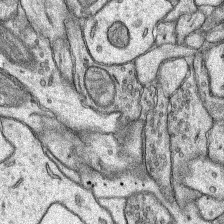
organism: Rat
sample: Hippocampus